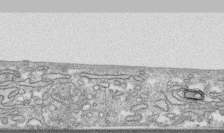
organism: Human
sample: CRL-1474